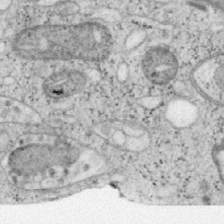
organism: Mouse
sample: OT-I killer T cells with ID8 ovarian cancer cells